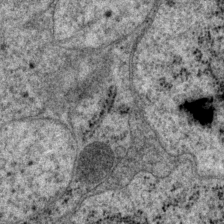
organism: P. pacificus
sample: Pharynx